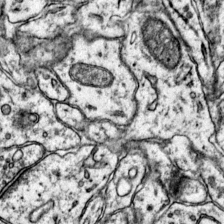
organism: Mouse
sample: Primary visual cortex